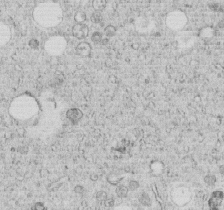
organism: C. elegans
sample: C. elegans embryo early stage